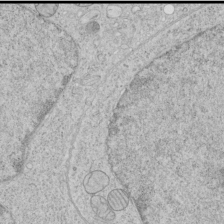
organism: Human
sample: Mitochondria in HCT116 cells